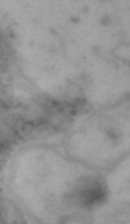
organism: Drosophila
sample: Brain